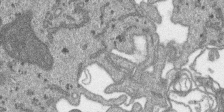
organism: Human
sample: Lung epithelial cells infected with SARS-CoV-2